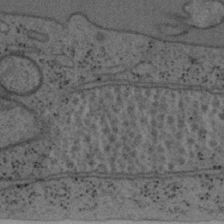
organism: Human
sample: HeLa cells